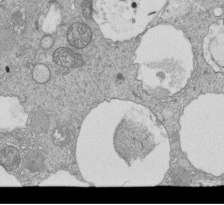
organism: Tetrahymena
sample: Cilia in tetrahymena